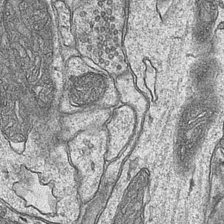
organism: Mouse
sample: CA1 Hippocampus